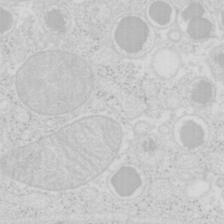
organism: Mouse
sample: Pancreas